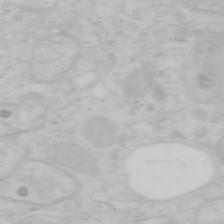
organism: Mouse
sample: OT-I killer T cells with ID8 ovarian cancer cells